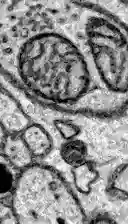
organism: Zebrafish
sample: Brain